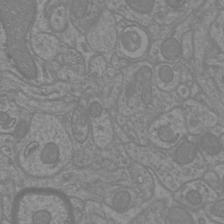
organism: Mouse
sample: Cortical neurons